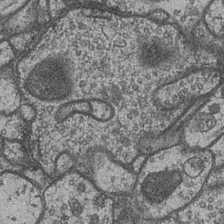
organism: Drosophila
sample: Optic medulla